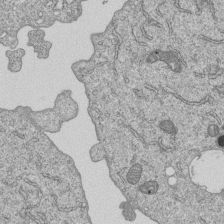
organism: Human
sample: MDA-MB-231 cells